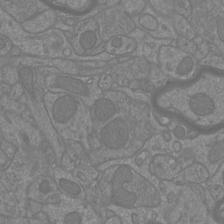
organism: Mouse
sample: Cortical neurons